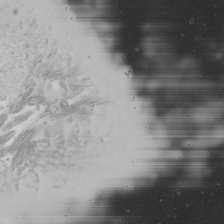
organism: Mouse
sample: Cilia; mouse epididymis